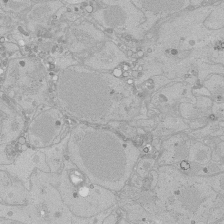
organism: Human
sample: Caco-2 cells